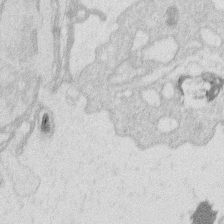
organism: Human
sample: Macrophage cells